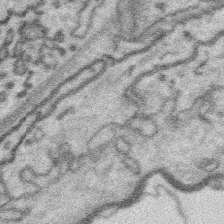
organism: Platynereis dumerilii